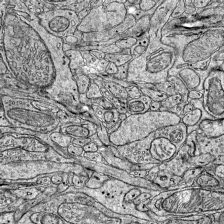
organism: Mouse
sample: Visual Cortex